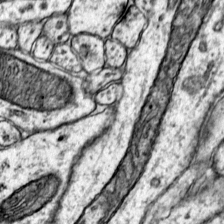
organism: Mouse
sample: Primary visual cortex